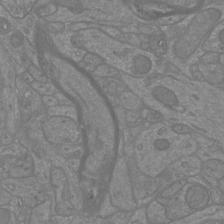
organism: Mouse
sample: Cortical neurons